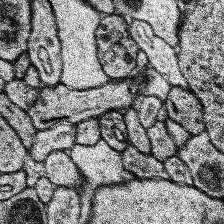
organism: Human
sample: Temporal Lobe